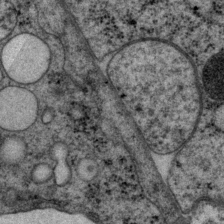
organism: P. pacificus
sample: Pharynx